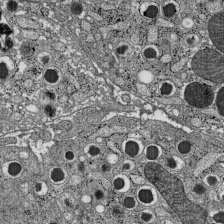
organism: C57BL Mouse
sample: Pancreatic islet